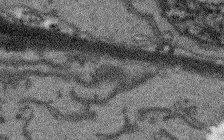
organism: Arabidopsis thaliana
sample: Root tip